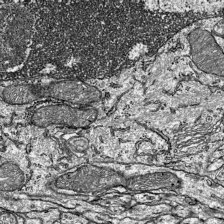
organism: Mouse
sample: Visual Cortex